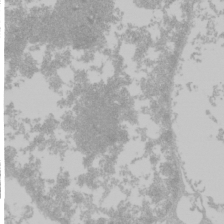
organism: Mouse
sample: Cancer cell death in ED-1 cells